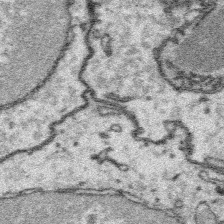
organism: Platynereis dumerilii